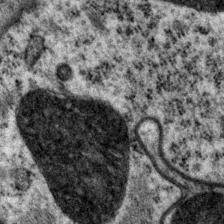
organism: P. pacificus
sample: Pharynx